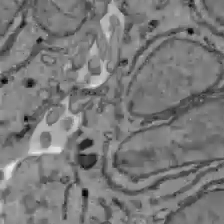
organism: C57BL Mouse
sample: Liver